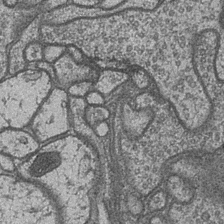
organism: Drosophila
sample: Optic medulla